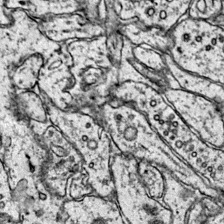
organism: Mouse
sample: Primary visual cortex